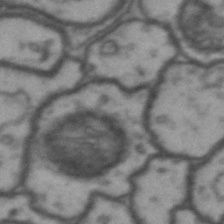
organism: Drosophila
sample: Brain